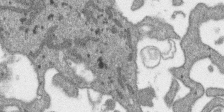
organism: Human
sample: Lung epithelial cells infected with SARS-CoV-2